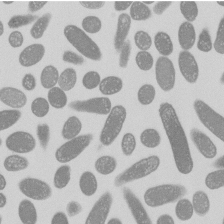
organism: E. coli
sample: Bacterial nucleoid